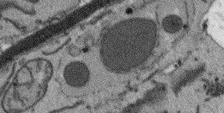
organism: Arabidopsis thaliana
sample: Root tip